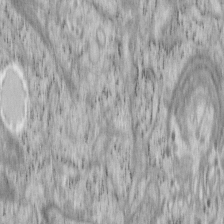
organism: Human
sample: HeLa cells